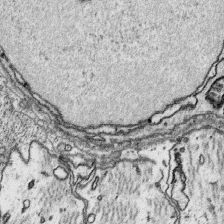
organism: Platynereis dumerilii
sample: Parapodia